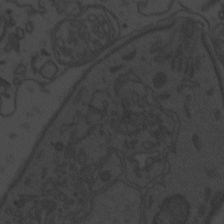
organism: Zebrafish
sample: Macrophage infected with Toxoplasma gondii